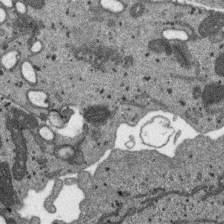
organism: Human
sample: Lung epithelial cells infected with SARS-CoV-2